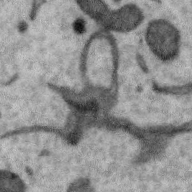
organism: Zebra finch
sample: Brain